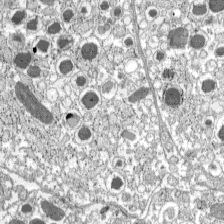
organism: C57BL Mouse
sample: Pancreatic islet